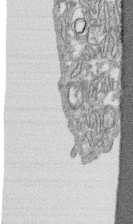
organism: Human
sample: CRL-1474